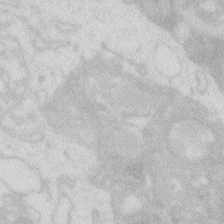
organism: Zebrafish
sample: Macrophage